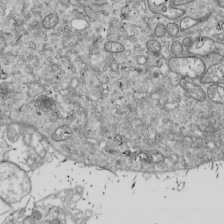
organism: Drosophila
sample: Cell division; meiosis; drosophila spermatocytes